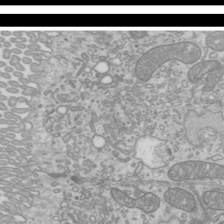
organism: Mouse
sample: Cilia; mouse epididymis